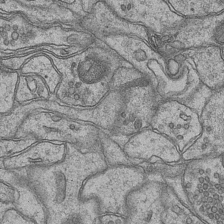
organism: Mouse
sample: CA1 Hippocampus